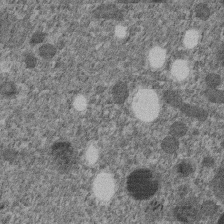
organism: C. elegans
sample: C. elegans embryo early stage